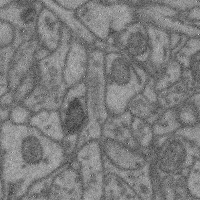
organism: Mouse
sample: Cerebral cortex